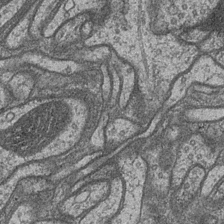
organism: Drosophila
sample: Optic medulla